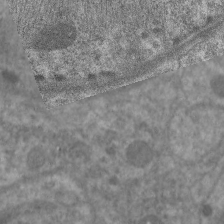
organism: C. elegans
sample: Pharynx